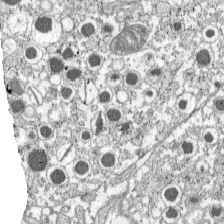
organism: C57BL Mouse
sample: Pancreatic islet